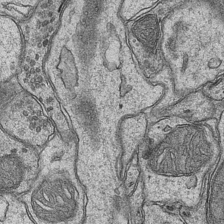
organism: Mouse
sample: CA1 Hippocampus